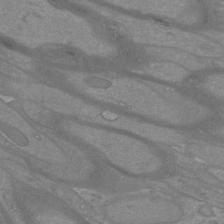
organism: Mouse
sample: Cortical neurons